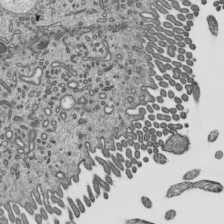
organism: Mouse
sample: Mouse epididymis efferent ductule cilia